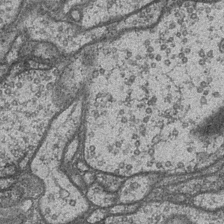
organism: Drosophila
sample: Optic medulla